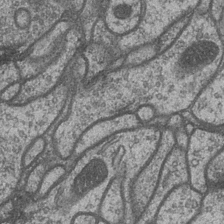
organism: Drosophila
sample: Optic medulla